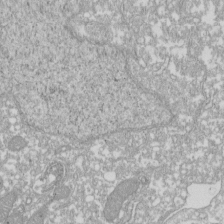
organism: Xenopus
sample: Cilia; centrioles in frog embryo cells